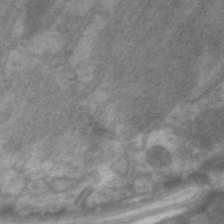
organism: C. elegans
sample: Pharynx